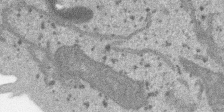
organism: Human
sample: Lung epithelial cells infected with SARS-CoV-2